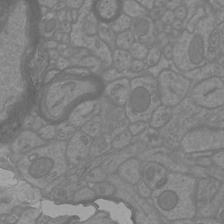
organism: Mouse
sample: Cortical neurons